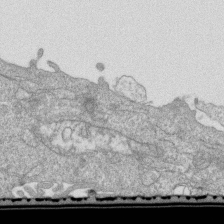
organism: Human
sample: HeLa cell HIV synapse